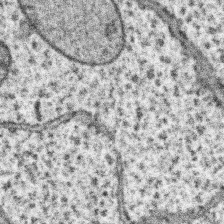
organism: Human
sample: HeLa cells